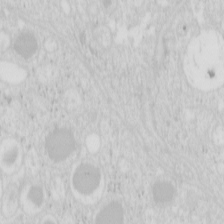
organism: Mouse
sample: Pancreas